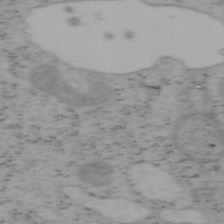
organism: Mouse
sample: OT-I killer T cells with ID8 ovarian cancer cells